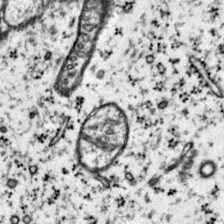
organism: Mouse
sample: Primary visual cortex